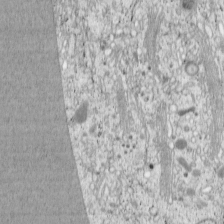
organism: African green monkey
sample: COS-7 cells